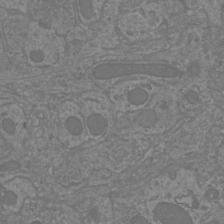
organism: Mouse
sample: Cortical neurons